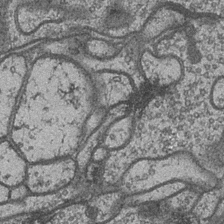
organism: Drosophila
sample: Optic medulla